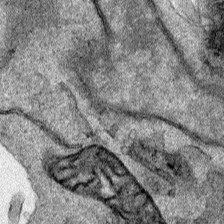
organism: Human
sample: Mitochondria in HCT116 cells